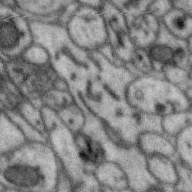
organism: Zebra finch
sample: Brain